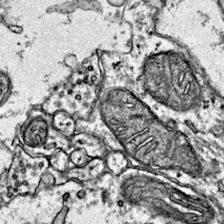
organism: Mouse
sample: Primary visual cortex